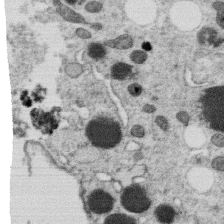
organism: C. elegans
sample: C. elegans oocyte; sperm cells